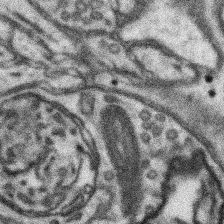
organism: Mouse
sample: Somatosensory cortex neuropil